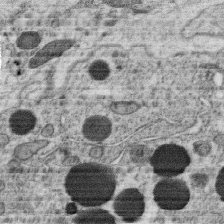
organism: C. elegans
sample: C. elegans oocyte; sperm cells